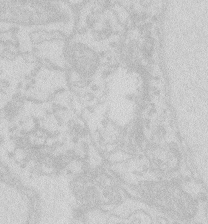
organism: Zebrafish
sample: Macrophage